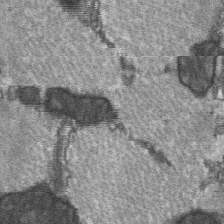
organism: C57BL Mouse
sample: Soleus